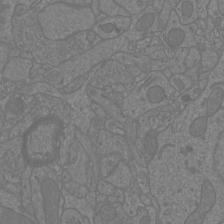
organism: Mouse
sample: Cortical neurons